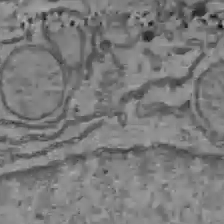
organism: C57BL Mouse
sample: Liver